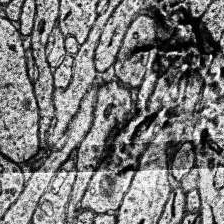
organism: Human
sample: Temporal Lobe